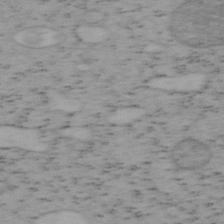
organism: Mouse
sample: OT-I killer T cells with ID8 ovarian cancer cells